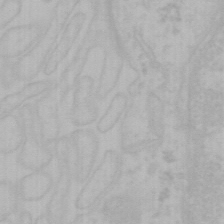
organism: Mouse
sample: Choroid plexus